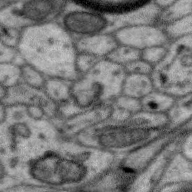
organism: Zebra finch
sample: Brain